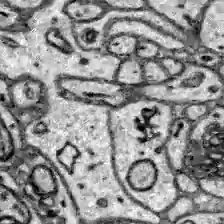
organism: Zebrafish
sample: Brain